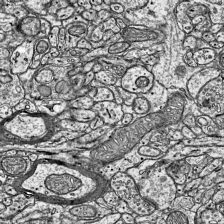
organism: Mouse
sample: Visual Cortex